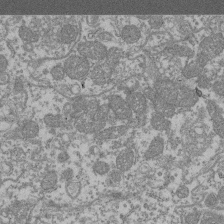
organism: Mouse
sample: Glomerulus